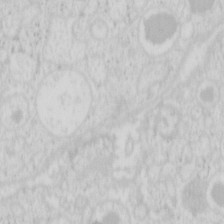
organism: Mouse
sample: Pancreas